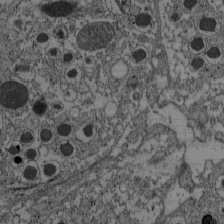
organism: C57BL Mouse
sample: Pancreatic islet